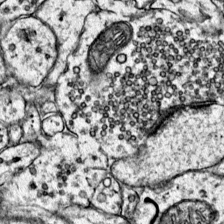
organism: Mouse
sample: Primary visual cortex